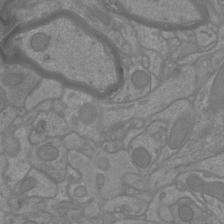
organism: Mouse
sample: Cortical neurons